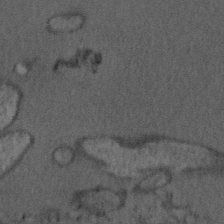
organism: Human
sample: HeLa cells